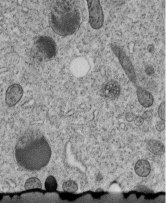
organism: C. elegans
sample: C. elegans embryo early stage